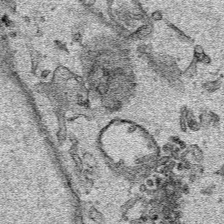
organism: Human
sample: Mitochondria in HCT116 cells